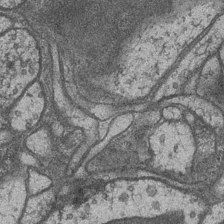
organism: Drosophila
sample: Optic medulla